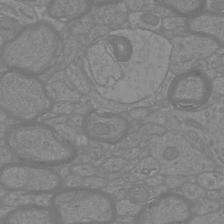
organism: Mouse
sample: Cortical neurons